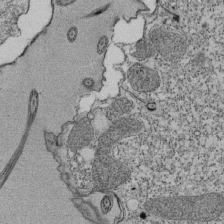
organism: Tetrahymena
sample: Cilia in tetrahymena